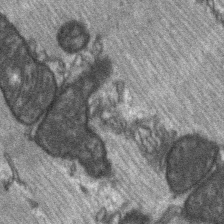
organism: C57BL Mouse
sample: Soleus